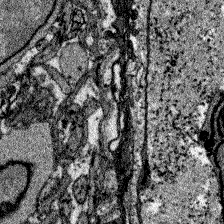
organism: Zebrafish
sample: Larval olfactory bulb